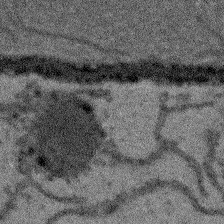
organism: Arabidopsis thaliana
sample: Root tip